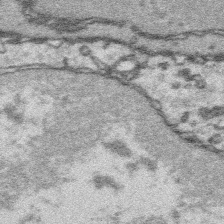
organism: Platynereis dumerilii